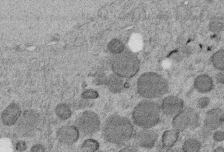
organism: C. elegans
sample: C. elegans embryo early stage